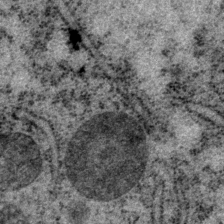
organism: P. pacificus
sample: Pharynx